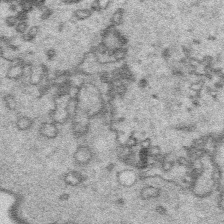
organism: Platynereis dumerilii